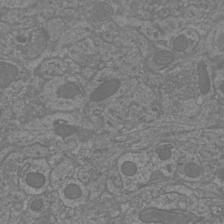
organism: Mouse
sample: Cortical neurons